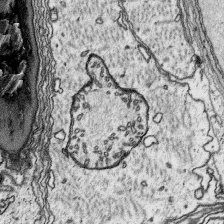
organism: Platynereis dumerilii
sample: Parapodia